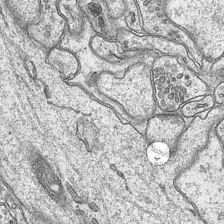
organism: Mouse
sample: CA1 Hippocampus